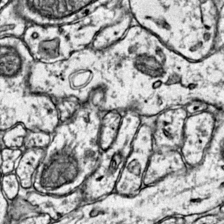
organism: Mouse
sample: Primary visual cortex